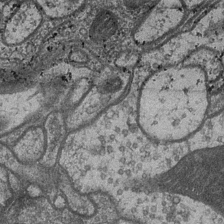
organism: Drosophila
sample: Optic medulla